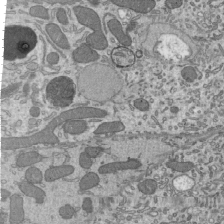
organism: Mouse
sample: Mouse epididymis efferent ductule cilia